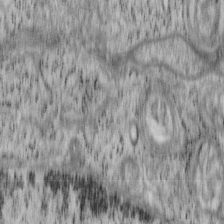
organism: Human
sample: HeLa cells